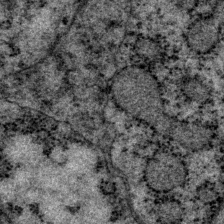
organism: P. pacificus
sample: Pharynx